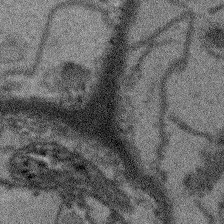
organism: Arabidopsis thaliana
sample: Root tip